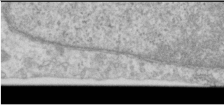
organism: Human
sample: Cilia; basal body in RPE cells